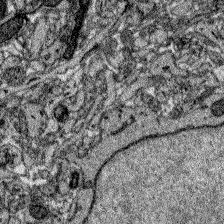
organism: Zebrafish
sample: Larval olfactory bulb